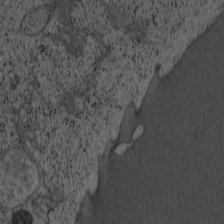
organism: African green monkey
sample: COS-7 cells